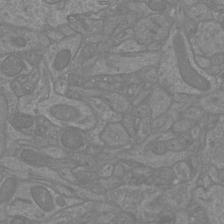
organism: Mouse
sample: Cortical neurons